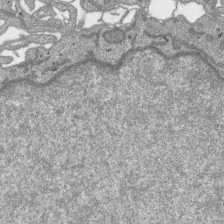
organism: Human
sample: Lung epithelial cells infected with SARS-CoV-2